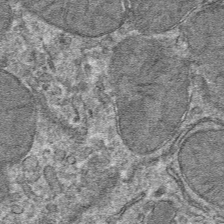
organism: Mouse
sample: Mouse hepatocytes